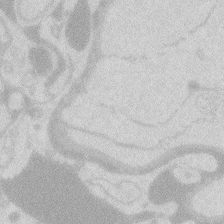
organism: Zebrafish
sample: Macrophage